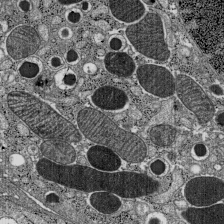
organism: C57BL Mouse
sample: Pancreatic islet